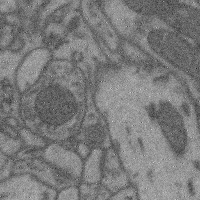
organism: Mouse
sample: Cerebral cortex